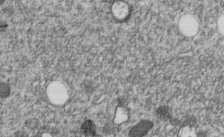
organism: C. elegans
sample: C. elegans embryo early stage